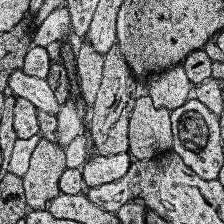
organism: Human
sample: Temporal Lobe